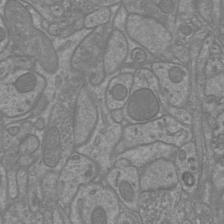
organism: Mouse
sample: Cortical neurons